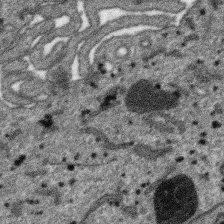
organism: Human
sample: Lung epithelial cells infected with SARS-CoV-2